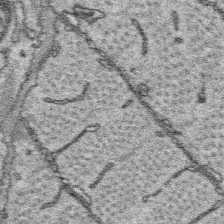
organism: Platynereis dumerilii